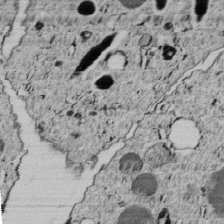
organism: C. elegans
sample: C. elegans embryo early stage